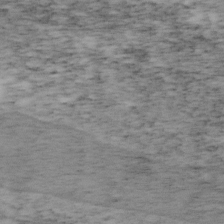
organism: Mouse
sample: OT-I killer T cells with ID8 ovarian cancer cells